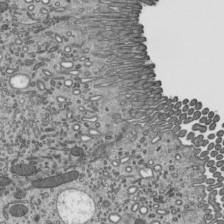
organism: Mouse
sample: Mouse epididymis efferent ductule cilia